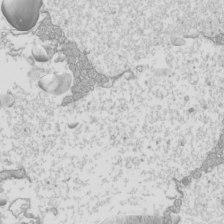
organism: Mouse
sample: Cilia; mouse epididymis